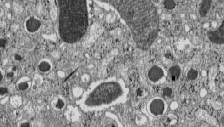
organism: C57BL Mouse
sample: Pancreatic islet